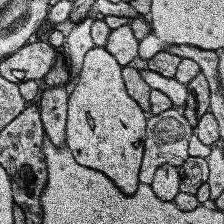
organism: Human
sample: Temporal Lobe